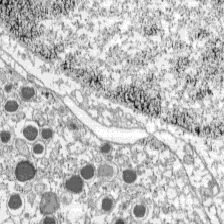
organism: C57BL Mouse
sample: Pancreatic islet